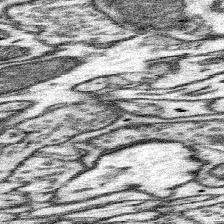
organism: Mouse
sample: Somatosensory cortex neuropil